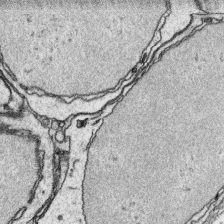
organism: Platynereis dumerilii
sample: Parapodia